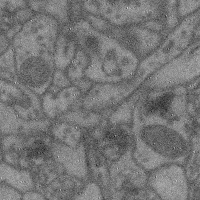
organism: Mouse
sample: Cerebral cortex